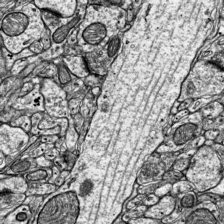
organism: Mouse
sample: Visual Cortex